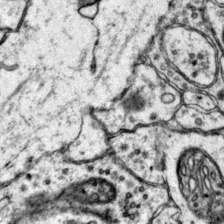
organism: Mouse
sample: Primary visual cortex